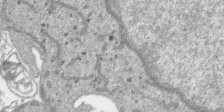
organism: Human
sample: Lung epithelial cells infected with SARS-CoV-2